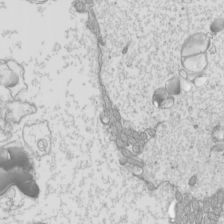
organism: Mouse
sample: Cilia; mouse epididymis